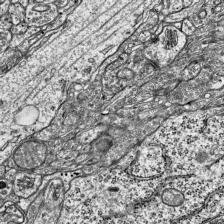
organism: Mouse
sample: Visual Cortex